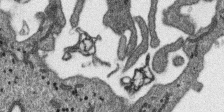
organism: Human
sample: Lung epithelial cells infected with SARS-CoV-2